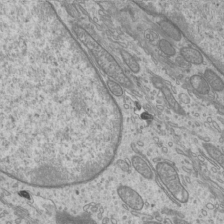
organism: Mouse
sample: Cilia; mouse epididymis